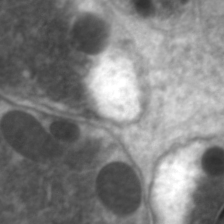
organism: C. elegans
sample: Pharynx